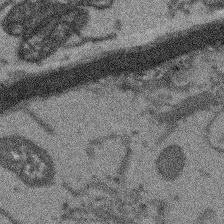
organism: Arabidopsis thaliana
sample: Root tip